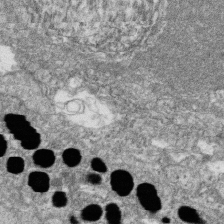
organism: Zebrafish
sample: Cilia; retinal pigment epithelium